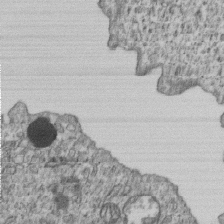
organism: Human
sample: MDA-MB-231 cells